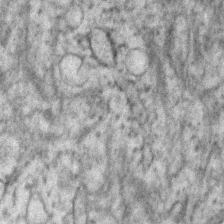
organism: Human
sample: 1205lu cells